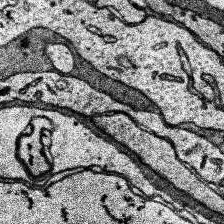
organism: Human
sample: Temporal Lobe